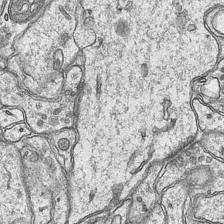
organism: Mouse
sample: CA1 Hippocampus